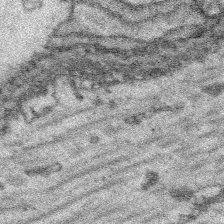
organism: Platynereis dumerilii